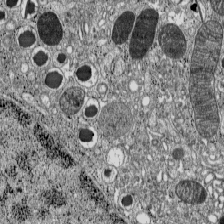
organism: C57BL Mouse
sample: Pancreatic islet